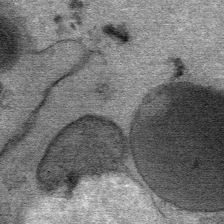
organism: Mouse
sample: Mouse Salivary gland